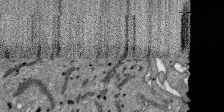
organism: Human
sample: Lung epithelial cells, uninfected (mock) control